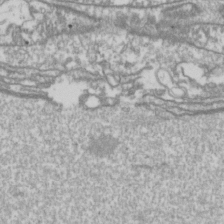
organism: Drosophila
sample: Cell division; meiosis; drosophila spermatocytes